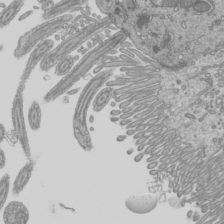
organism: Mouse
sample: Cilia; mouse epididymis